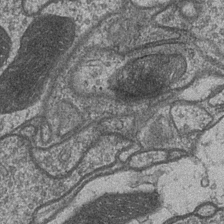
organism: Drosophila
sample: Optic medulla